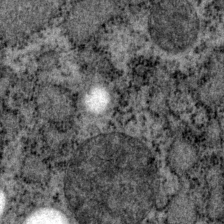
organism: P. pacificus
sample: Pharynx